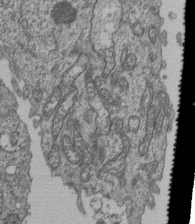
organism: Human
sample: Retinal organoid Rod and Cone cells